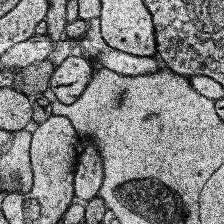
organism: Human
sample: Temporal Lobe